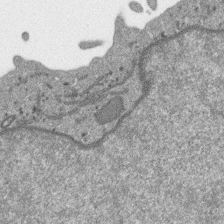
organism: Human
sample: Lung epithelial cells infected with SARS-CoV-2